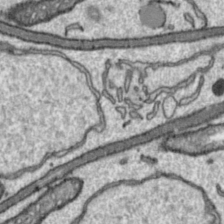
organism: Toxoplasma gondii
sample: Parasites in a vacuole inside a host cell